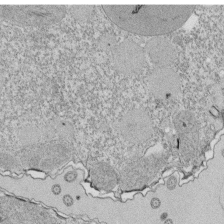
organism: Tetrahymena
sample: Cilia in tetrahymena